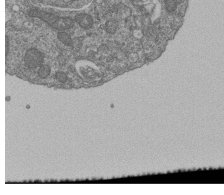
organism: Human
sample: Retinal organoid Rod and Cone cells